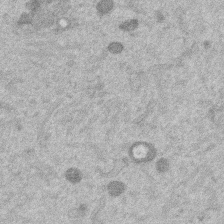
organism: Mouse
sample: Dividing mouse embryo 1 cell stage